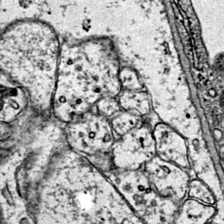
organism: Mouse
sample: Primary visual cortex